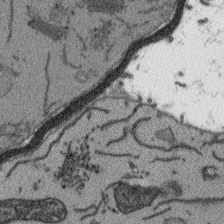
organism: Arabidopsis thaliana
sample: Root tip